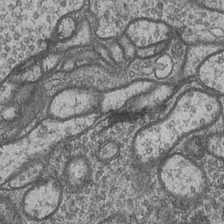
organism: Drosophila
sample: Optic medulla